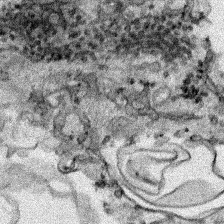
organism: Human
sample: Mitochondria in HCT116 cells